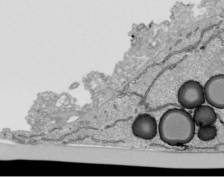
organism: Human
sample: Mitochondria in HCT116 cells